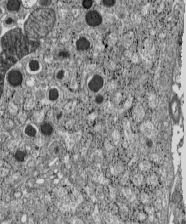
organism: C57BL Mouse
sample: Pancreatic islet